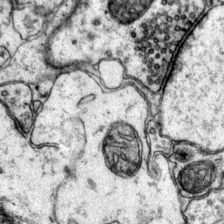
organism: Mouse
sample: Primary visual cortex